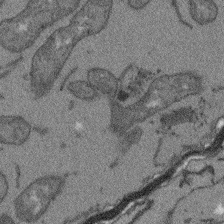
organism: Arabidopsis thaliana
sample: Root tip